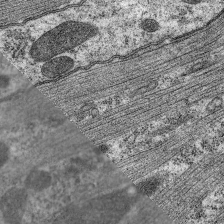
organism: C. elegans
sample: Pharynx